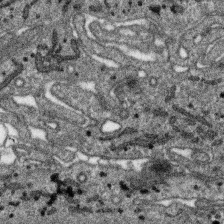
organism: Human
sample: Lung epithelial cells infected with SARS-CoV-2